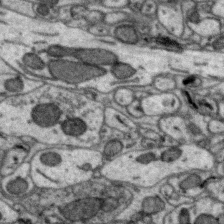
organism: Zebra finch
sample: Brain